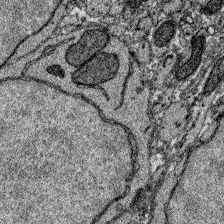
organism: Zebrafish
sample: Larval olfactory bulb